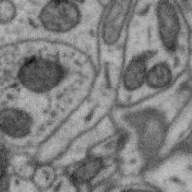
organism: Zebra finch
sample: Brain